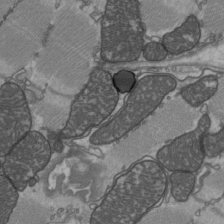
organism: C57BL Mouse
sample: Heart